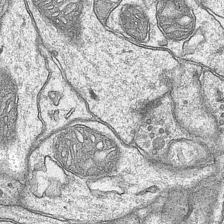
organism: Mouse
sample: CA1 Hippocampus